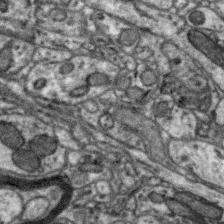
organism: Zebra finch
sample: Brain